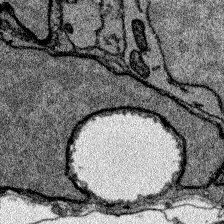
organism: Zebrafish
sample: Larval olfactory bulb